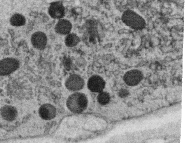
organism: C. elegans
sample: C. elegans oocyte; sperm cells